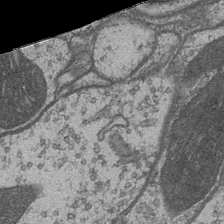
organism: Drosophila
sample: Optic medulla